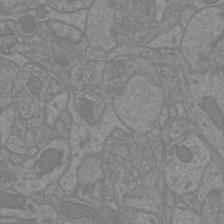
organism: Mouse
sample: Cortical neurons